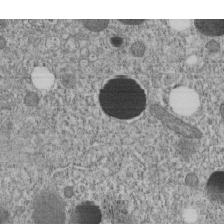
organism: C. elegans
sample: C. elegans embryo early stage